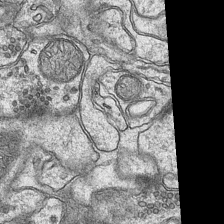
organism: Mouse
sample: CA1 Hippocampus